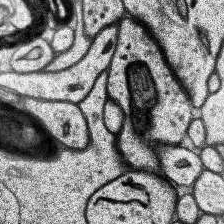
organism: Human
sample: Temporal Lobe